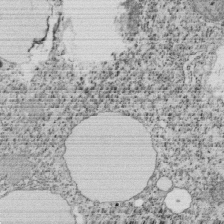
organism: Tetrahymena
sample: Cilia in tetrahymena